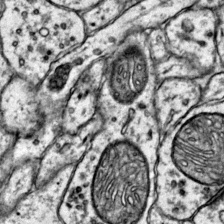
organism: Mouse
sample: Primary visual cortex